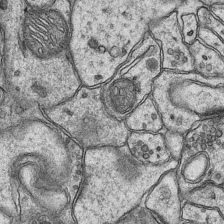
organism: Mouse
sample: CA1 Hippocampus